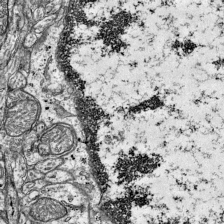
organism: Mouse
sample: Visual Cortex